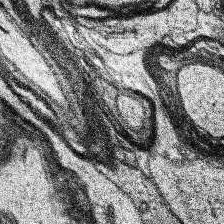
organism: Human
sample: Temporal Lobe